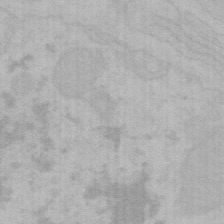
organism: Mouse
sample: Choroid plexus